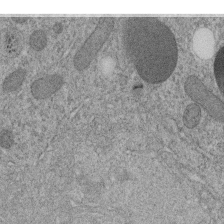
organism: C. elegans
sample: C. elegans embryo early stage